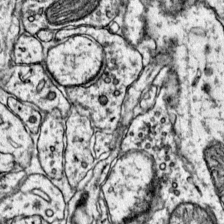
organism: Mouse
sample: Primary visual cortex